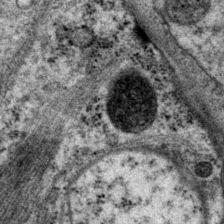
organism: P. pacificus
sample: Pharynx